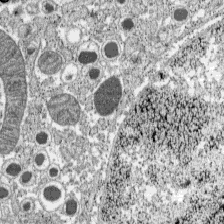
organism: C57BL Mouse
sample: Pancreatic islet